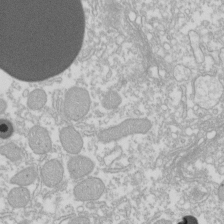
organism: Xenopus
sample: Cilia; centrioles in frog embryo cells